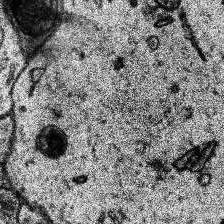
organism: Human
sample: Temporal Lobe